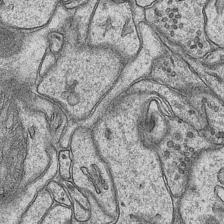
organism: Mouse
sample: CA1 Hippocampus